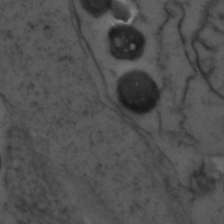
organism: Zebrafish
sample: Zebrafish embryo